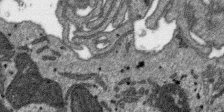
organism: Human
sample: Lung epithelial cells, uninfected (mock) control